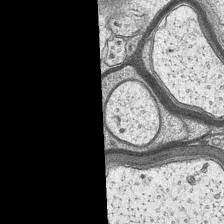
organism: Mouse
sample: CA1 Hippocampus